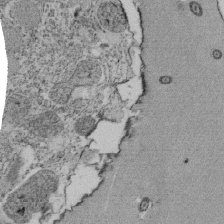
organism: Tetrahymena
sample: Cilia in tetrahymena